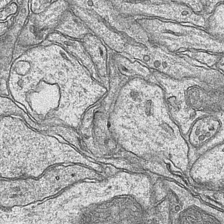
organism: Mouse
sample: CA1 Hippocampus